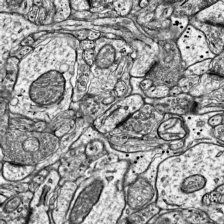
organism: Mouse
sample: Visual Cortex